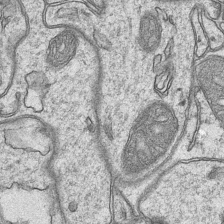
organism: Mouse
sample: CA1 Hippocampus